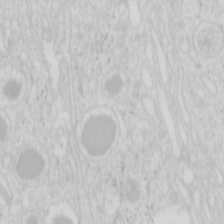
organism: Mouse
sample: Pancreas